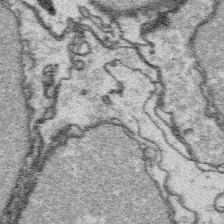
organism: Platynereis dumerilii